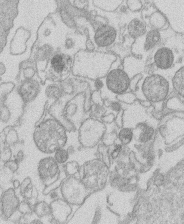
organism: Human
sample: Macrophage cells